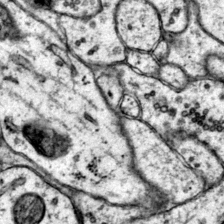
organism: Mouse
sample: Primary visual cortex